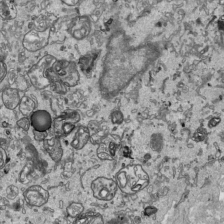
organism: Human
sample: Mitochondria in HCT116 cells